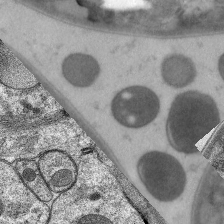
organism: C. elegans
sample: Pharynx